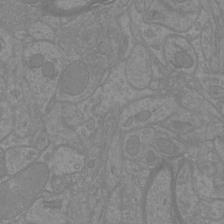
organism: Mouse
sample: Cortical neurons